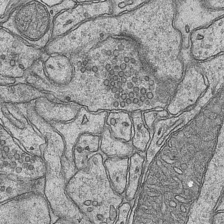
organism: Mouse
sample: CA1 Hippocampus